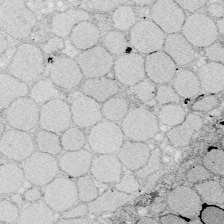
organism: Zebrafish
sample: Whole-Brain